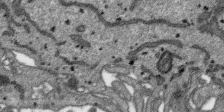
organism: Human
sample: Lung epithelial cells, uninfected (mock) control